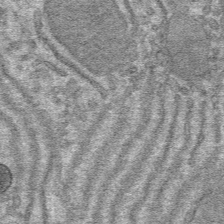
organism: Mouse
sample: Mouse hepatocytes